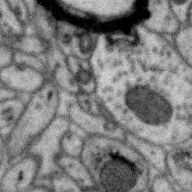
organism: Zebra finch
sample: Brain